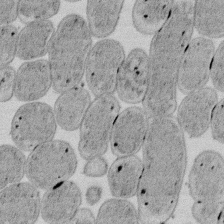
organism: E. coli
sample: Bacterial nucleoid